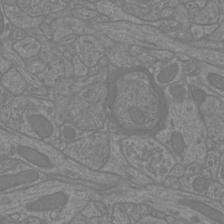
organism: Mouse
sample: Cortical neurons